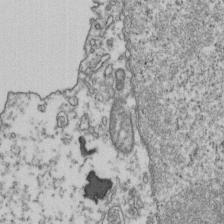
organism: Human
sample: Activated Jurkat CD4+ T cells